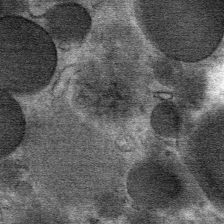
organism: Mouse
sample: Mouse Salivary gland